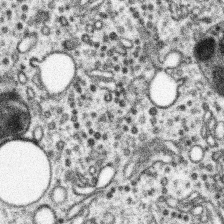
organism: Human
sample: HeLa cells